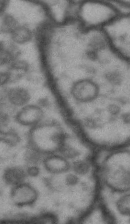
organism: Drosophila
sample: Brain